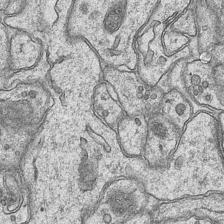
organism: Mouse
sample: CA1 Hippocampus